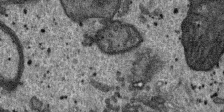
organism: Human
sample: Lung epithelial cells, uninfected (mock) control